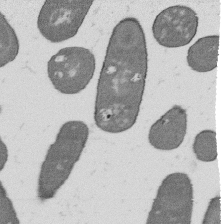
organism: B. subtilis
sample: Bacterial spore